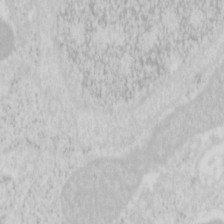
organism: Mouse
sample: Pancreas